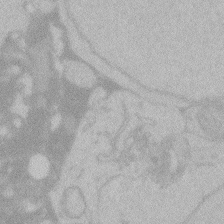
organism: Zebrafish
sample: Macrophage infected with Toxoplasma gondii